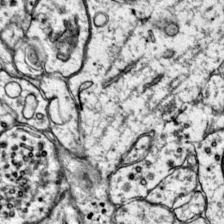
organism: Mouse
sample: Primary visual cortex